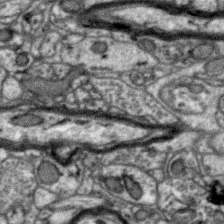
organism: Zebra finch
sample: Brain